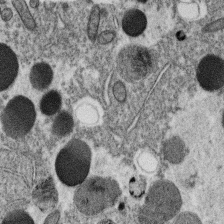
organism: C. elegans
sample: C. elegans oocyte; sperm cells